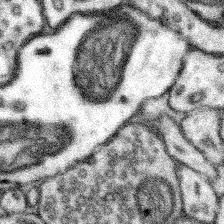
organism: Mouse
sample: Somatosensory cortex neuropil